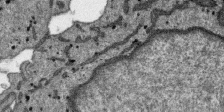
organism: Human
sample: Lung epithelial cells, uninfected (mock) control